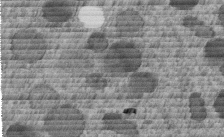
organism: C. elegans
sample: C. elegans embryo early stage